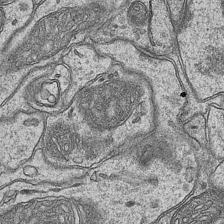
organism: Mouse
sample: CA1 Hippocampus